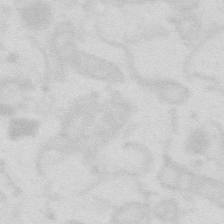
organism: Human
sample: HeLa cells